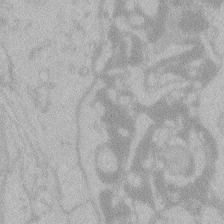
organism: Zebrafish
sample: Macrophage infected with Toxoplasma gondii